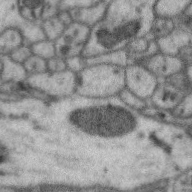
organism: Zebra finch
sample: Brain